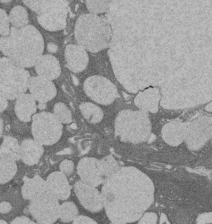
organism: Rat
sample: Salivary granule